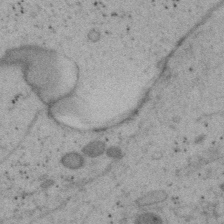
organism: Human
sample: HeLa cells